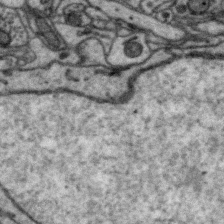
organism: Zebra finch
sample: Brain